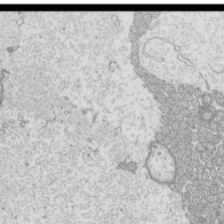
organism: Mouse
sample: Cilia; mouse epididymis